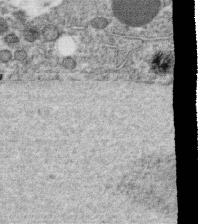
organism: C. elegans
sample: C. elegans oocyte; sperm cells